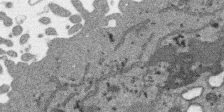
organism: Human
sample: Lung epithelial cells infected with SARS-CoV-2